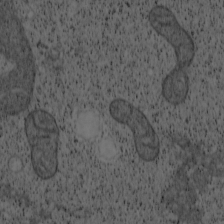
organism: African green monkey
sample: COS-7 cells